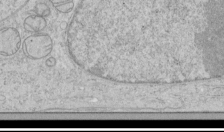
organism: Human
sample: Mitochondria in HCT116 cells